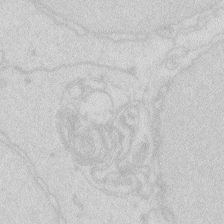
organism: Zebrafish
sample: Macrophage